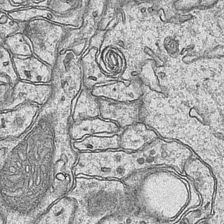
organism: Mouse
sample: CA1 Hippocampus